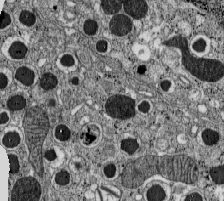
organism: C57BL Mouse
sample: Pancreatic islet